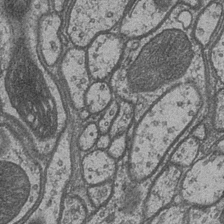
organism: Drosophila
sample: Optic medulla